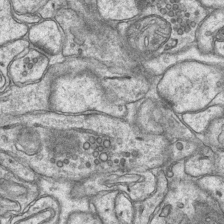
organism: Mouse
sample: CA1 Hippocampus